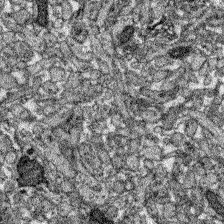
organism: Zebrafish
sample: Larval olfactory bulb